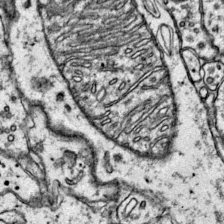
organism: Mouse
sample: Primary visual cortex